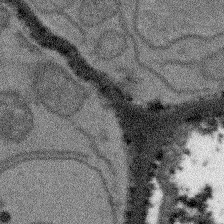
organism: Arabidopsis thaliana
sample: Root tip